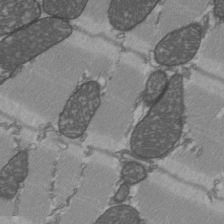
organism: C57BL Mouse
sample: Heart